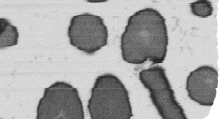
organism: B. subtilis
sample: Bacterial spore